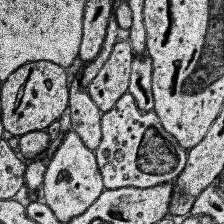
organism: Human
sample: Temporal Lobe